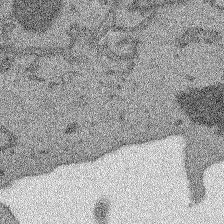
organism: Human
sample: HeLa cells